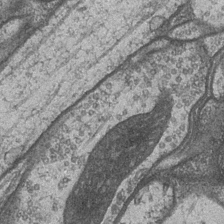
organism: Drosophila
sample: Optic medulla